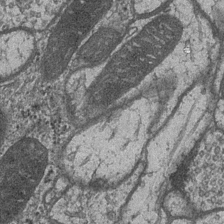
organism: Drosophila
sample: Optic medulla